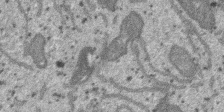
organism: Human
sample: Lung epithelial cells infected with SARS-CoV-2